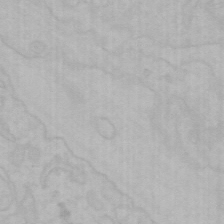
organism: Mouse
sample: Choroid plexus